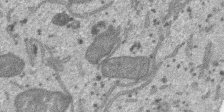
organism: Human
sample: Lung epithelial cells infected with SARS-CoV-2